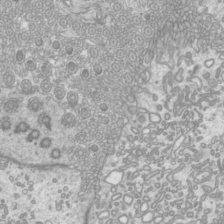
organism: Mouse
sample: Cilia; mouse epididymis